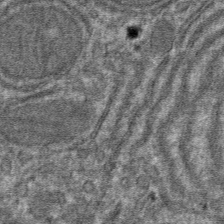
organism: Mouse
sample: Mouse hepatocytes